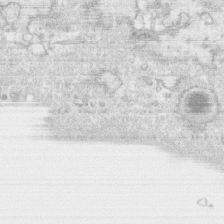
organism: Human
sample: CRL-1474